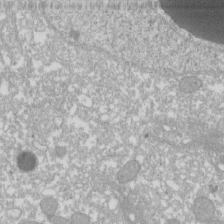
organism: Xenopus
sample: Cilia; centrioles in frog embryo cells